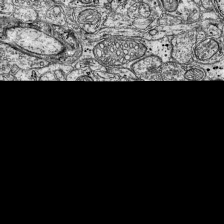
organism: Mouse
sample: Visual Cortex